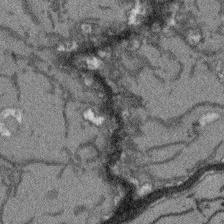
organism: Arabidopsis thaliana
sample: Root tip